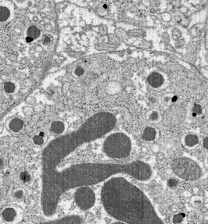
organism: C57BL Mouse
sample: Pancreatic islet